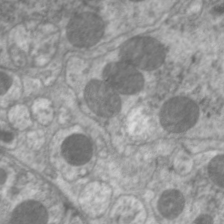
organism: C. elegans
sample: Pharynx